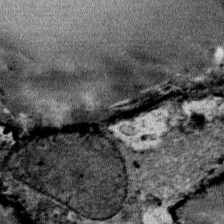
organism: Mouse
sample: Mouse Salivary gland